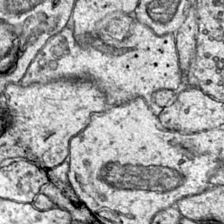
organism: Mouse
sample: Primary visual cortex